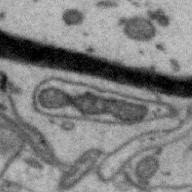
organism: Zebra finch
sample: Brain